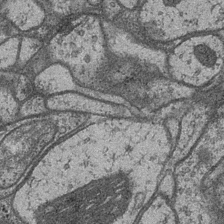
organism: Drosophila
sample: Optic medulla